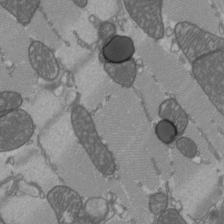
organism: C57BL Mouse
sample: Heart